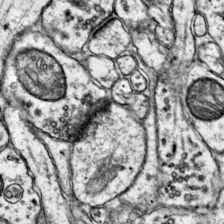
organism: Mouse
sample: Primary visual cortex